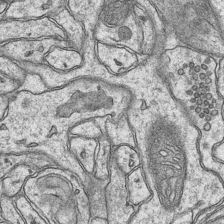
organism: Mouse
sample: CA1 Hippocampus